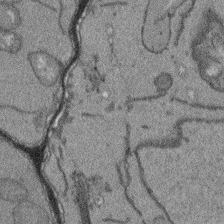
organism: Arabidopsis thaliana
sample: Root tip